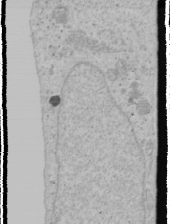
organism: Human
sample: Mitochondria in U2OS cells